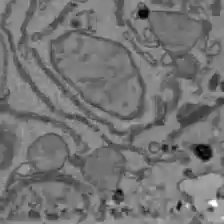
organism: C57BL Mouse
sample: Liver